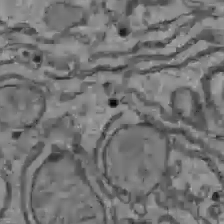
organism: C57BL Mouse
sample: Liver